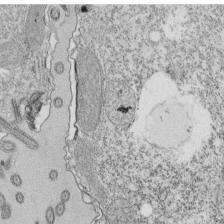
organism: Tetrahymena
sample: Cilia in tetrahymena